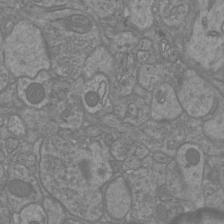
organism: Mouse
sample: Cortical neurons